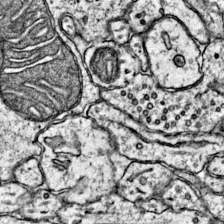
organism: Mouse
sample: Primary visual cortex